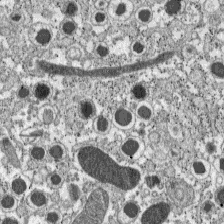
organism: C57BL Mouse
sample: Pancreatic islet